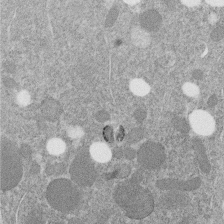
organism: C. elegans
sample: C. elegans embryo early stage